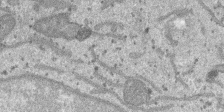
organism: Human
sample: Lung epithelial cells infected with SARS-CoV-2